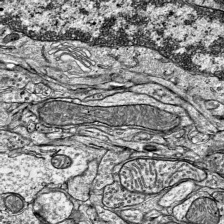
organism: Mouse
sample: Visual Cortex